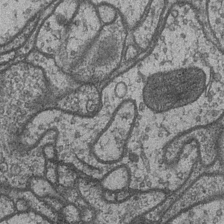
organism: Drosophila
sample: Optic medulla